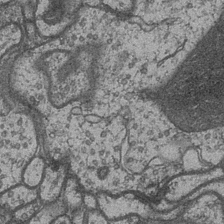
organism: Drosophila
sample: Optic medulla